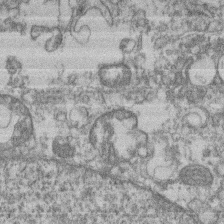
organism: Mouse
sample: T cell stromal cell synapse